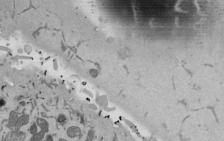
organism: Mouse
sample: ED-1 cell nuclei; centrioles